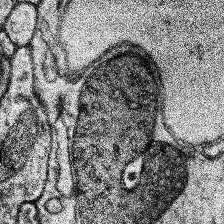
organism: Human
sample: Temporal Lobe